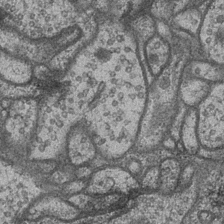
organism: Drosophila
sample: Optic medulla